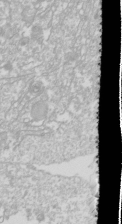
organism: Drosophila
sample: Cell division; meiosis; drosophila spermatocytes